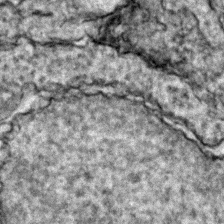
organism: Zebrafish